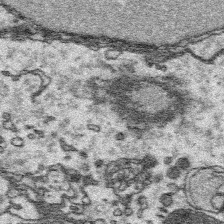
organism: Platynereis dumerilii